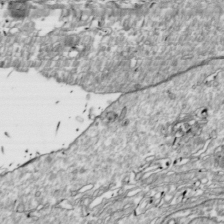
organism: Drosophila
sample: Cell division; meiosis; drosophila spermatocytes